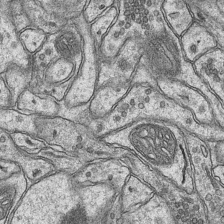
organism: Mouse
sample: CA1 Hippocampus